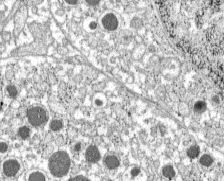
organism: C57BL Mouse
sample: Pancreatic islet